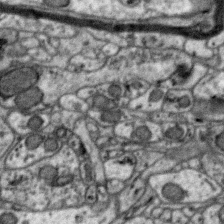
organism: Zebra finch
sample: Brain